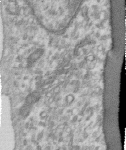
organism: Human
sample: Centriole in RPE cells